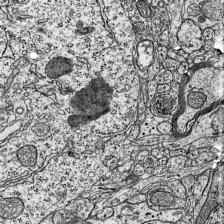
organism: Mouse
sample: Visual Cortex